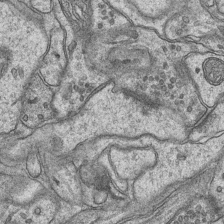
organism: Mouse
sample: CA1 Hippocampus